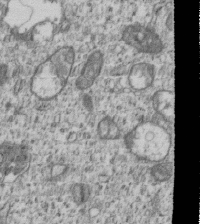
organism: Human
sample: MDA-MB-231 cells